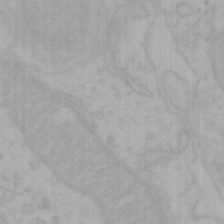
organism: Mouse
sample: Choroid plexus